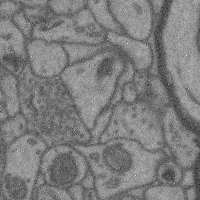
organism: Mouse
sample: Cerebral cortex